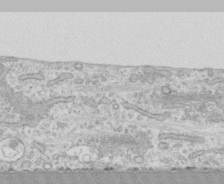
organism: Human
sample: CRL-1474